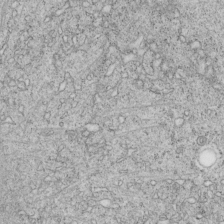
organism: C. elegans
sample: C. elegans embryo early stage